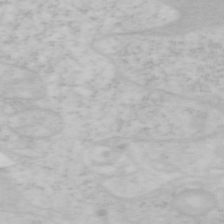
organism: Mouse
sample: OT-I killer T cells with ID8 ovarian cancer cells